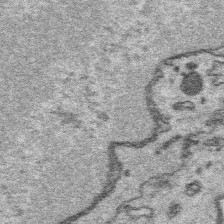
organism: Platynereis dumerilii